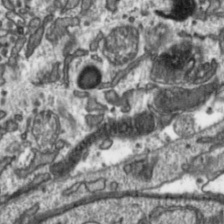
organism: Toxoplasma gondii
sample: Parasites in a vacuole inside a host cell